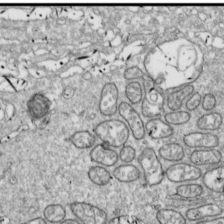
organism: Drosophila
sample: Cell division; meiosis; drosophila spermatocytes